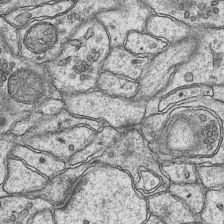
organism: Mouse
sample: CA1 Hippocampus